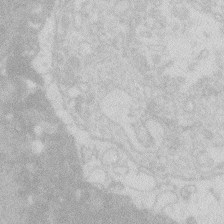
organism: Zebrafish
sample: Macrophage